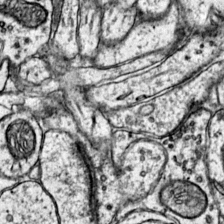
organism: Mouse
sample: Primary visual cortex